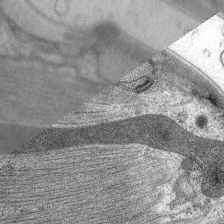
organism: C. elegans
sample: Pharynx